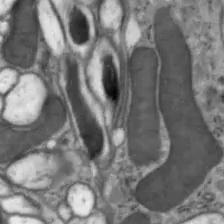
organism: Drosophila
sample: Optic lobe